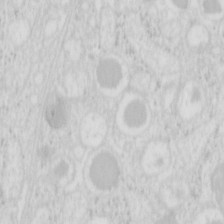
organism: Mouse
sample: Pancreas